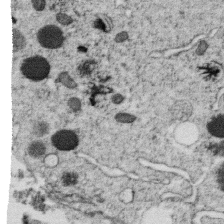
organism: C. elegans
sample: C. elegans oocyte; sperm cells